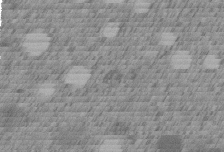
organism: C. elegans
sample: C. elegans embryo early stage